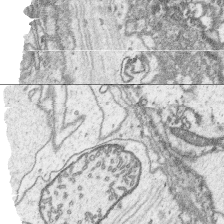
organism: Platynereis dumerilii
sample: Parapodia